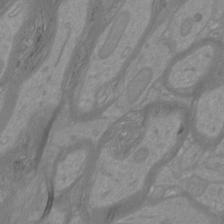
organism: Mouse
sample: Cortical neurons